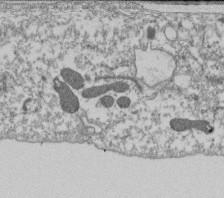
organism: Dictyostelium discoideum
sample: Dictyostelium multivesicular bodies